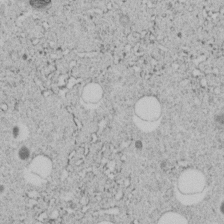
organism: C. elegans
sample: C. elegans embryo early stage